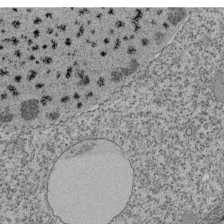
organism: Tetrahymena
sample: Cilia in tetrahymena